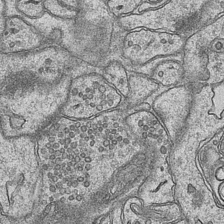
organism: Mouse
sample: CA1 Hippocampus